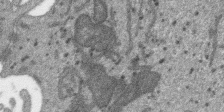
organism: Human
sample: Lung epithelial cells infected with SARS-CoV-2